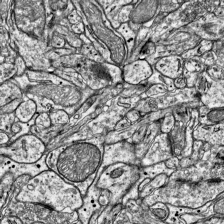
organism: Mouse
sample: Visual Cortex